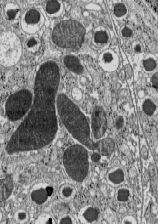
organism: C57BL Mouse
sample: Pancreatic islet